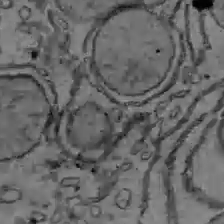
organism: C57BL Mouse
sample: Liver